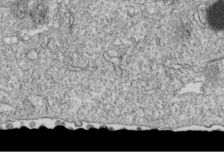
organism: Human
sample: HeLa cell HIV synapse